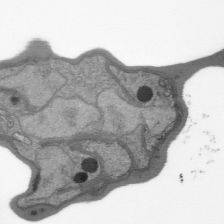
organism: Plasmodium falciparum